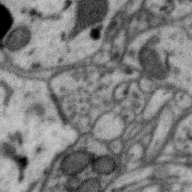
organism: Zebra finch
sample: Brain